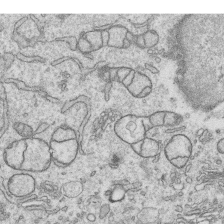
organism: Human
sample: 1205lu cells